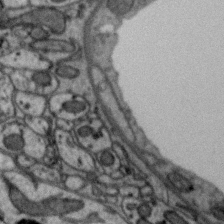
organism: Zebra finch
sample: Brain